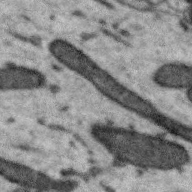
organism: Zebra finch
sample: Brain